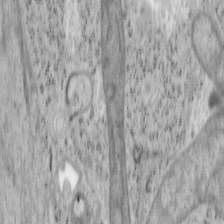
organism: Human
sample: HeLa cells